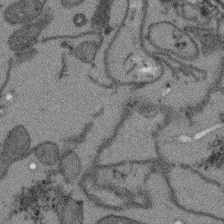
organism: Arabidopsis thaliana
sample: Root tip